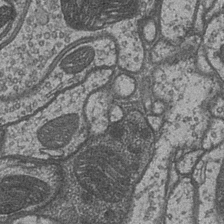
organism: Drosophila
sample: Optic medulla